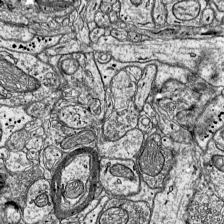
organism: Mouse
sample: Visual Cortex